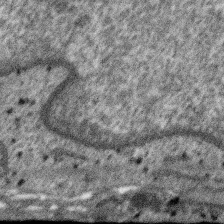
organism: Human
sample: Lung epithelial cells infected with SARS-CoV-2